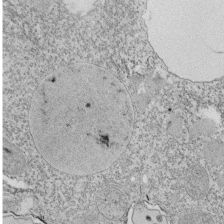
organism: Tetrahymena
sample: Cilia in tetrahymena